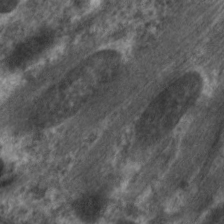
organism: C. elegans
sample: Pharynx